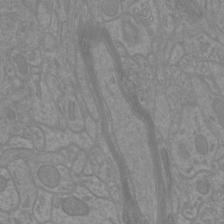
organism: Mouse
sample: Cortical neurons